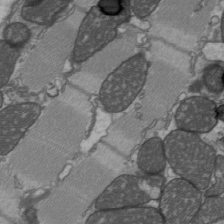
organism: C57BL Mouse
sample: Heart